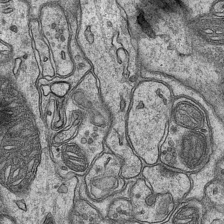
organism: Mouse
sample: CA1 Hippocampus